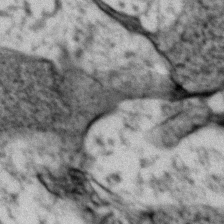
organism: Zebrafish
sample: Zebrafish embryo